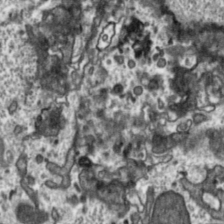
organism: Toxoplasma gondii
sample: Parasites in a vacuole inside a host cell